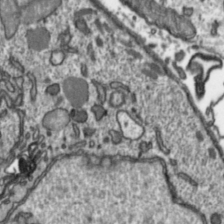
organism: Toxoplasma gondii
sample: Parasites in a vacuole inside a host cell